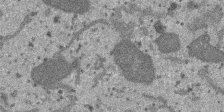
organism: Human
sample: Lung epithelial cells infected with SARS-CoV-2